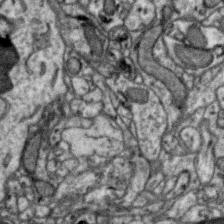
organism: Zebra finch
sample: Brain